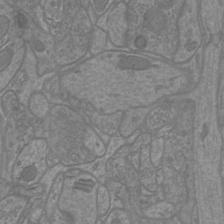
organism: Mouse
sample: Cortical neurons